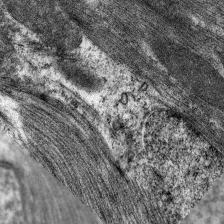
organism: C. elegans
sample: Pharynx